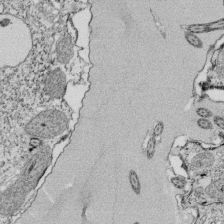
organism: Tetrahymena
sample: Cilia in tetrahymena